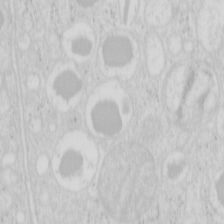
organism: Mouse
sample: Pancreas